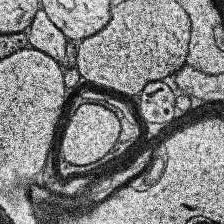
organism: Human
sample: Temporal Lobe